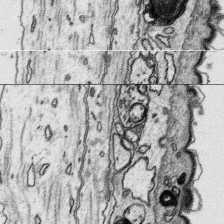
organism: Platynereis dumerilii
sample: Parapodia